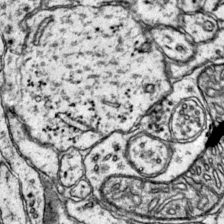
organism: Mouse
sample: Primary visual cortex